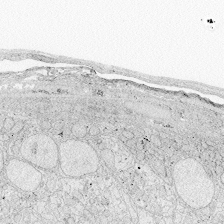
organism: Zebrafish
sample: Whole-Brain